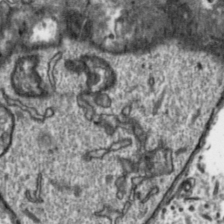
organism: Toxoplasma gondii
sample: Parasites in a vacuole inside a host cell